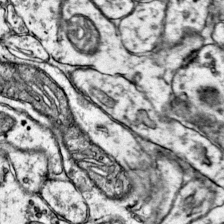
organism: Mouse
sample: Primary visual cortex